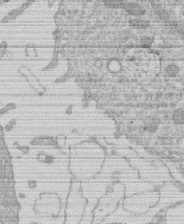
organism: Human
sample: Macrophage cells